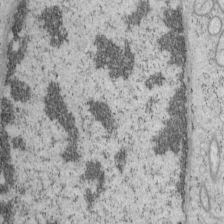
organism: Mouse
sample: OT-I killer T cells with ID8 ovarian cancer cells